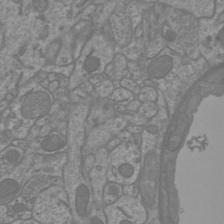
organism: Mouse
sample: Cortical neurons